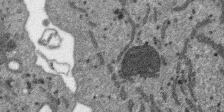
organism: Human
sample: Lung epithelial cells infected with SARS-CoV-2